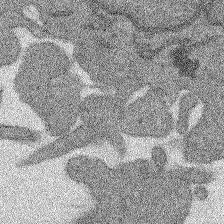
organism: Human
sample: HeLa cells